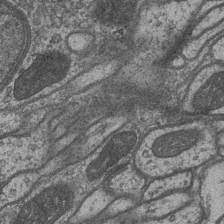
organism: Drosophila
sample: Optic medulla